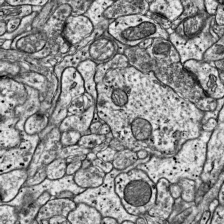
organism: Mouse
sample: Visual Cortex